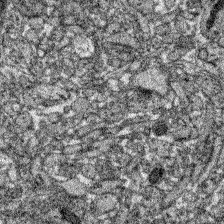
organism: Zebrafish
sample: Larval olfactory bulb